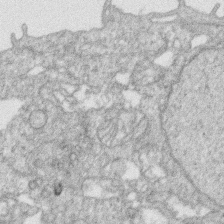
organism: Human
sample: HeLa cell HIV synapse